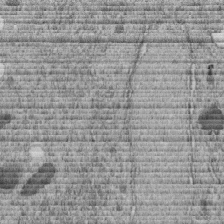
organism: C. elegans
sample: C. elegans embryo early stage